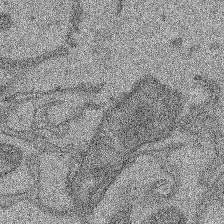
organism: Human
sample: HeLa cells